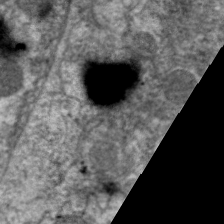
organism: C. elegans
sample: Pharynx